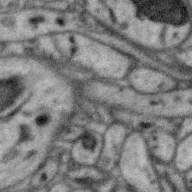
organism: Zebra finch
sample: Brain